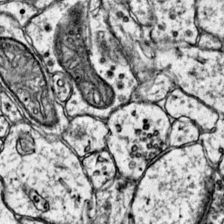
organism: Mouse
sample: Primary visual cortex